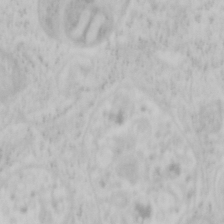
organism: Mouse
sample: OT-I killer T cells with ID8 ovarian cancer cells